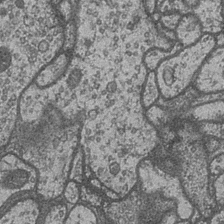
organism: Drosophila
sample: Optic medulla